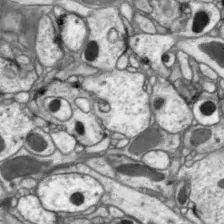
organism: Drosophila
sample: Optic lobe